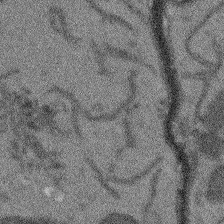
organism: Arabidopsis thaliana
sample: Root tip